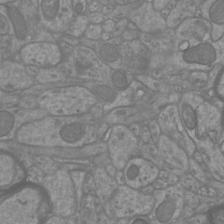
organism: Mouse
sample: Cortical neurons